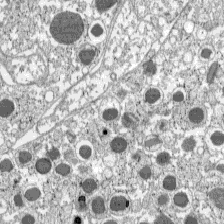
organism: C57BL Mouse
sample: Pancreatic islet